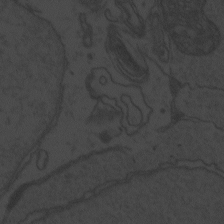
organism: Zebrafish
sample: Macrophage infected with Toxoplasma gondii